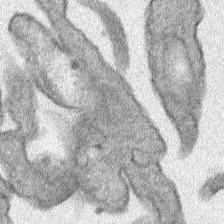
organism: Human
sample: Mitochondria in HCT116 cells